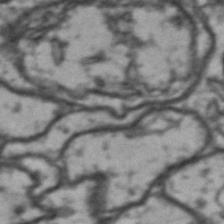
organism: Drosophila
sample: Brain